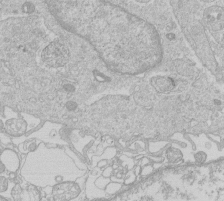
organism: Human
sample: Macrophage cells